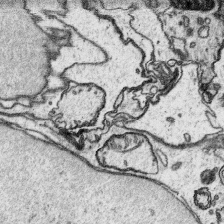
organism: Platynereis dumerilii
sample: Parapodia